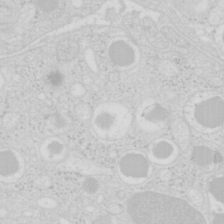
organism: Mouse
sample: Pancreas